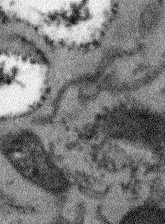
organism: Arabidopsis thaliana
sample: Root tip